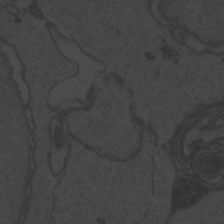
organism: Zebrafish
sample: Macrophage infected with Toxoplasma gondii